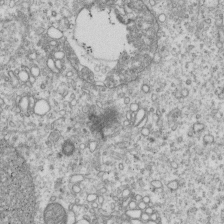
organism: Human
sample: MDA-MB-231 cells